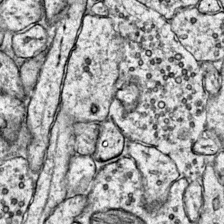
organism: Mouse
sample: Primary visual cortex